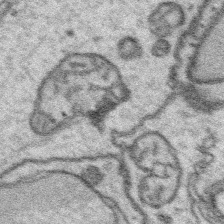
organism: Platynereis dumerilii